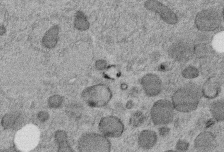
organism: C. elegans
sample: C. elegans embryo early stage